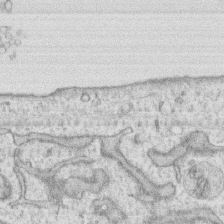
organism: Human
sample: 1205lu cells